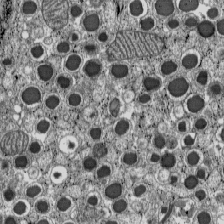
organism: C57BL Mouse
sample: Pancreatic islet